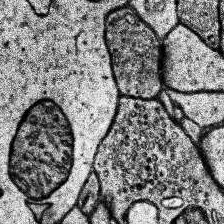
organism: Human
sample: Temporal Lobe